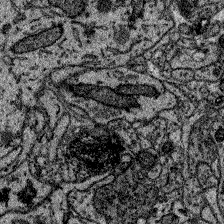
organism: Zebrafish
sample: Larval olfactory bulb